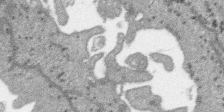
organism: Human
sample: Lung epithelial cells infected with SARS-CoV-2